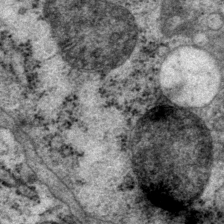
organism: P. pacificus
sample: Pharynx